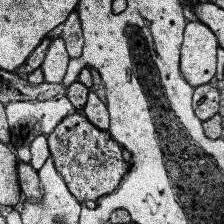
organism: Human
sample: Temporal Lobe